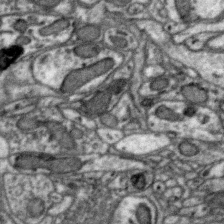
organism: Zebra finch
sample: Brain